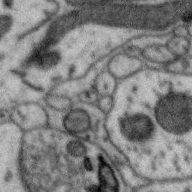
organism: Zebra finch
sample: Brain